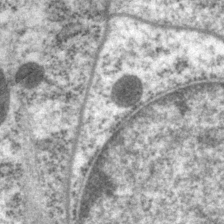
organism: P. pacificus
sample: Pharynx